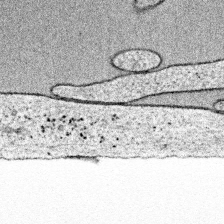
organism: Human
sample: HeLa cells